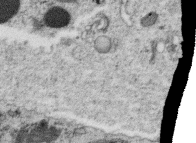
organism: C. elegans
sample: C. elegans oocyte; sperm cells